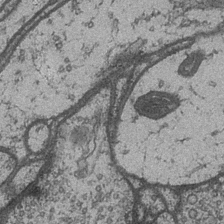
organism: Drosophila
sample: Optic medulla